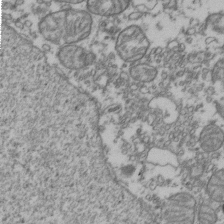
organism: Human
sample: Activated Jurkat CD4+ T cells